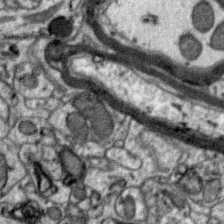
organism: Zebra finch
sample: Brain